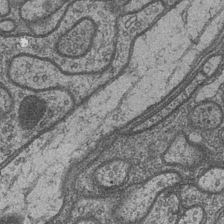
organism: Drosophila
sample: Optic medulla